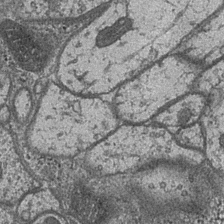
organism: Drosophila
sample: Optic medulla